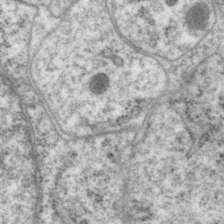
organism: P. pacificus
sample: Pharynx